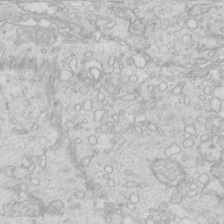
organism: Mouse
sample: Multiciliated cells